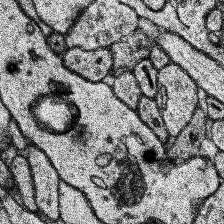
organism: Human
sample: Temporal Lobe